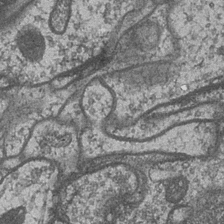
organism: Drosophila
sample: Optic medulla